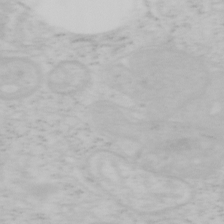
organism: Mouse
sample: OT-I killer T cells with ID8 ovarian cancer cells